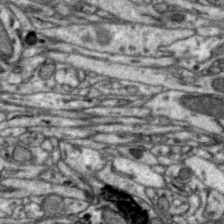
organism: Zebra finch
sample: Brain